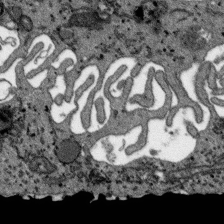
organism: Human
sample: Lung epithelial cells, uninfected (mock) control